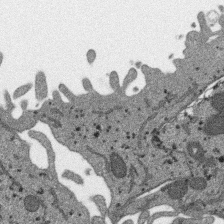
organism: Human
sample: Lung epithelial cells infected with SARS-CoV-2